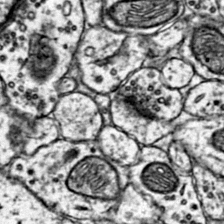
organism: Mouse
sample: Primary visual cortex